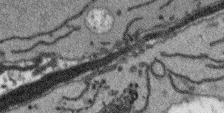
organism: Arabidopsis thaliana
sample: Root tip